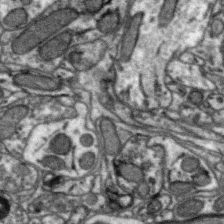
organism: Zebra finch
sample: Brain